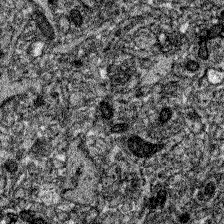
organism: Zebrafish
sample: Larval olfactory bulb